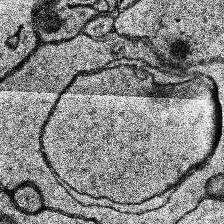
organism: Human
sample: Temporal Lobe